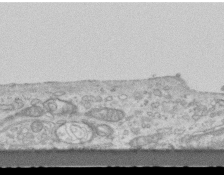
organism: Mouse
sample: Centriole in ependymal cells